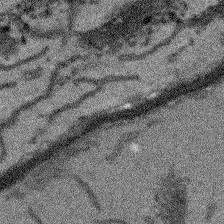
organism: Arabidopsis thaliana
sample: Root tip